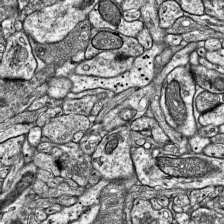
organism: Mouse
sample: Visual Cortex